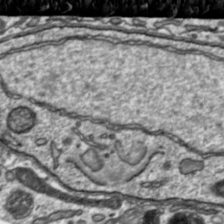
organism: Toxoplasma gondii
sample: Parasites in a vacuole inside a host cell